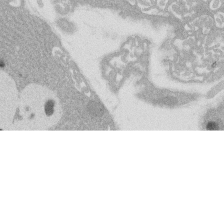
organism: Rat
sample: Salivary granule